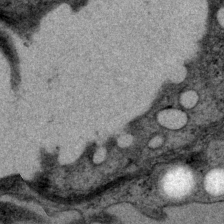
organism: P. pacificus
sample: Pharynx